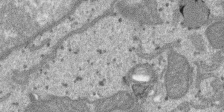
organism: Human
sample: Lung epithelial cells infected with SARS-CoV-2